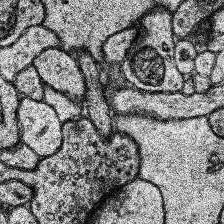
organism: Human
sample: Temporal Lobe